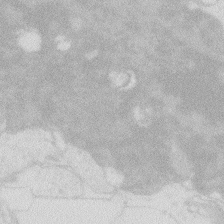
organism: Zebrafish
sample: Macrophage